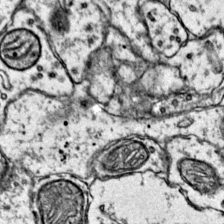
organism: Mouse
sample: Primary visual cortex